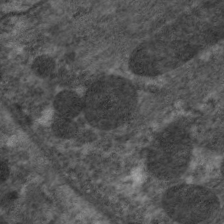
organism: C. elegans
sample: Pharynx